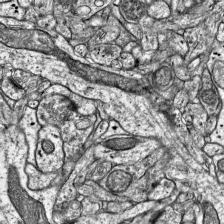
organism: Mouse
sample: Visual Cortex